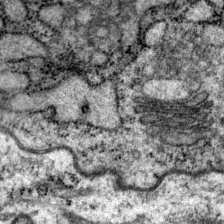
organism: P. pacificus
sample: Pharynx